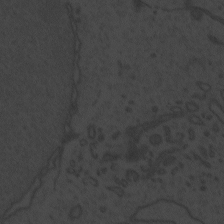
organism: Zebrafish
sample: Macrophage infected with Toxoplasma gondii